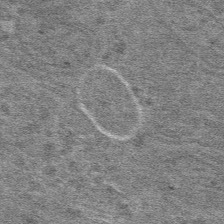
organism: Mouse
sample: Mouse hepatocytes